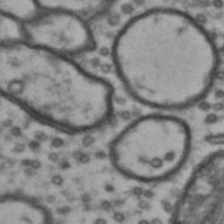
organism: Drosophila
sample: Brain